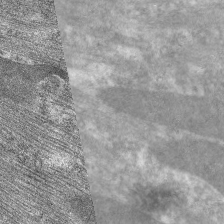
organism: C. elegans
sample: Pharynx